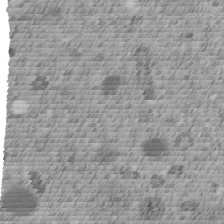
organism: C. elegans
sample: C. elegans embryo early stage